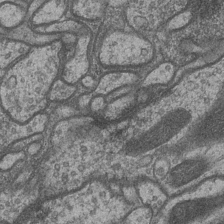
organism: Drosophila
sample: Optic medulla